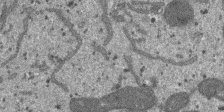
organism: Human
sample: Lung epithelial cells infected with SARS-CoV-2